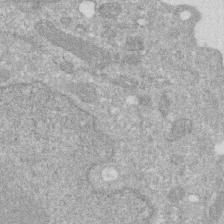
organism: Human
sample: HIV infected U937 cells